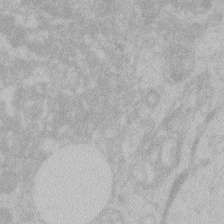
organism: Zebrafish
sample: Macrophage infected with Toxoplasma gondii